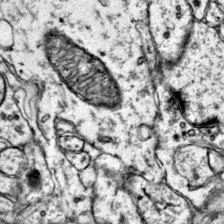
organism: Mouse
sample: Primary visual cortex